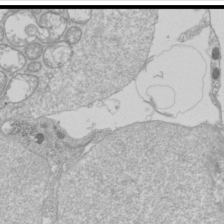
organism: Drosophila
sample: Cell division; meiosis; drosophila spermatocytes